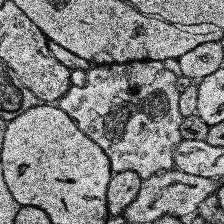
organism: Human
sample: Temporal Lobe